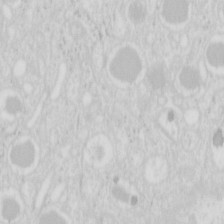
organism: Mouse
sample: Pancreas